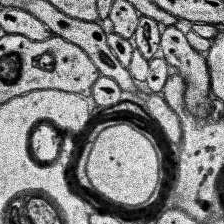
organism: Human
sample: Temporal Lobe